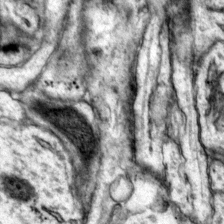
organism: Mouse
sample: Primary visual cortex